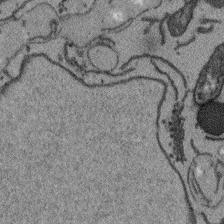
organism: Arabidopsis thaliana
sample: Root tip